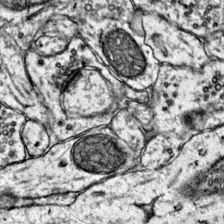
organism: Mouse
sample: Primary visual cortex